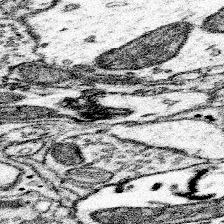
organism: Mouse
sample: Somatosensory cortex neuropil